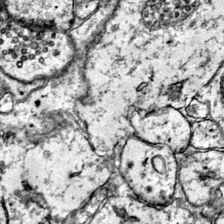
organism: Mouse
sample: Primary visual cortex